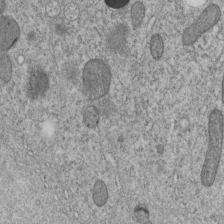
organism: C. elegans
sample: C. elegans embryo early stage